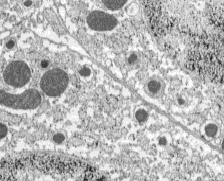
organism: C57BL Mouse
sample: Pancreatic islet